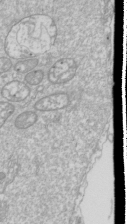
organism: Drosophila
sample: Cell division; meiosis; drosophila spermatocytes